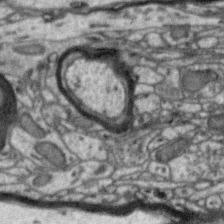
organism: Zebra finch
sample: Brain